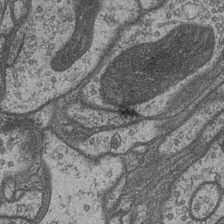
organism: Drosophila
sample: Optic medulla